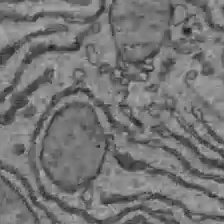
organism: C57BL Mouse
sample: Liver